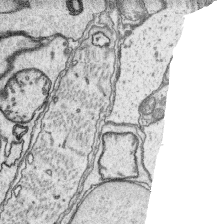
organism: Platynereis dumerilii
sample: Parapodia